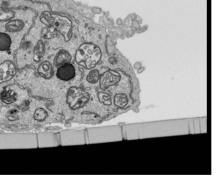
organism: Human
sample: Mitochondria in HCT116 cells